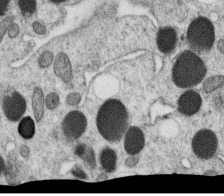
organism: C. elegans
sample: C. elegans oocyte; sperm cells